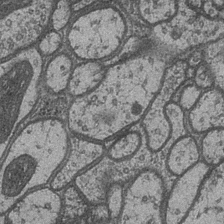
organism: Drosophila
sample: Optic medulla